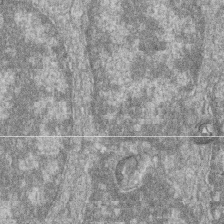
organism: Zebrafish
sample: Cilia; retinal pigment epithelium